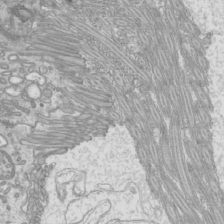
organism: Mouse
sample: Cilia; mouse epididymis